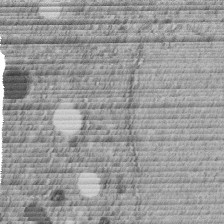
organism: C. elegans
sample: C. elegans embryo early stage